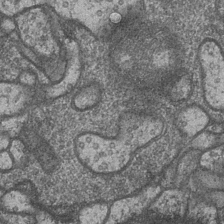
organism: Drosophila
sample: Optic medulla